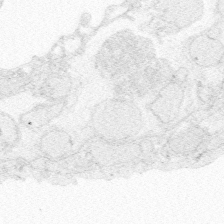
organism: Zebrafish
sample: Whole-Brain